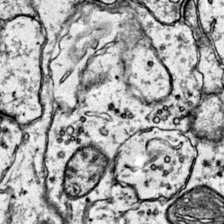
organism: Mouse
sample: Primary visual cortex